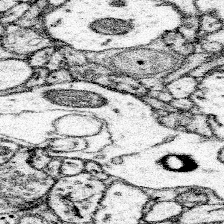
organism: Mouse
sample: Somatosensory cortex neuropil